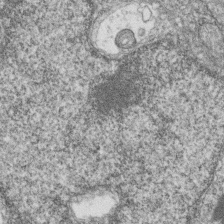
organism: Zebrafish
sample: Cilia; retinal pigment epithelium